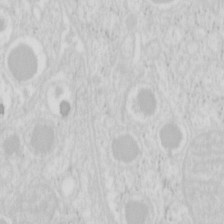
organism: Mouse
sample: Pancreas